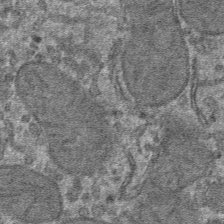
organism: Mouse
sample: Mouse hepatocytes